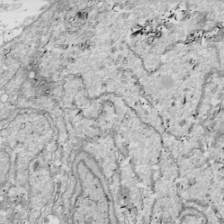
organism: Drosophila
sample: Cell division; meiosis; drosophila spermatocytes